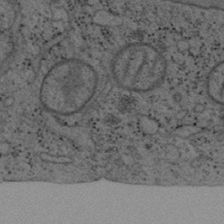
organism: Human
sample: HeLa cells